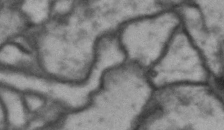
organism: Drosophila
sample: Brain